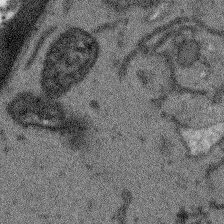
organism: Arabidopsis thaliana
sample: Root tip